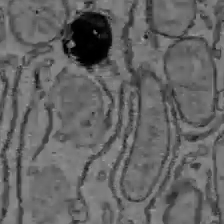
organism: C57BL Mouse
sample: Liver